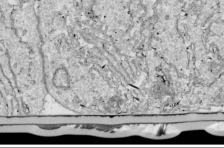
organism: Drosophila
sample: Cell division; meiosis; drosophila spermatocytes